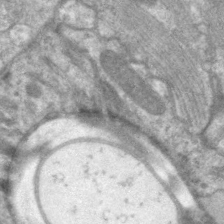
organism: C. elegans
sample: Pharynx